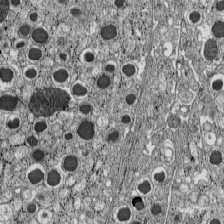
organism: C57BL Mouse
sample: Pancreatic islet